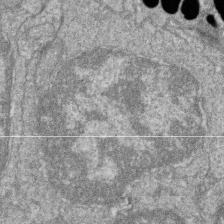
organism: Zebrafish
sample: Cilia; retinal pigment epithelium